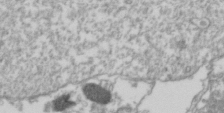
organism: Drosophila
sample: Cell division; meiosis; drosophila spermatocytes